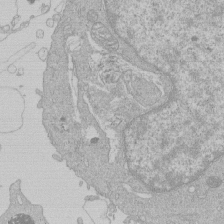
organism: Human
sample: Macrophage cells